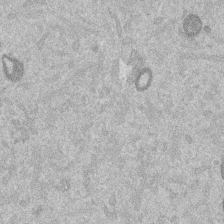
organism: Mouse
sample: Dividing mouse embryo 1 cell stage